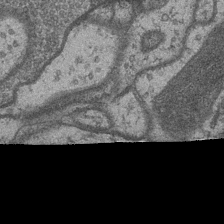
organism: Drosophila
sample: Optic medulla